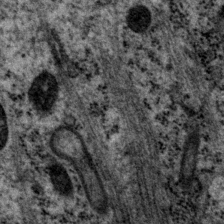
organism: P. pacificus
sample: Pharynx